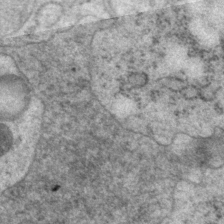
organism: P. pacificus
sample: Pharynx